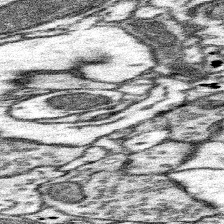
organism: Mouse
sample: Somatosensory cortex neuropil